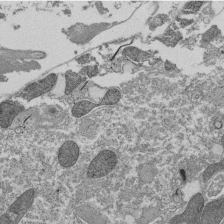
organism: Tetrahymena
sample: Cilia in tetrahymena